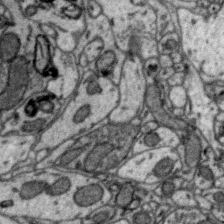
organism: Zebra finch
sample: Brain